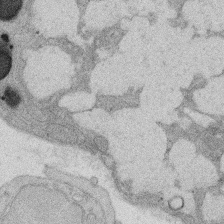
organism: Rat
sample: Salivary granule